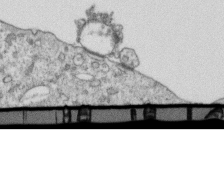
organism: Mouse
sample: Activated OT-1 CD8+ T cells